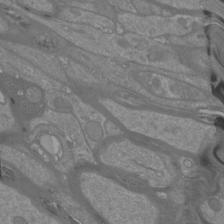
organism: Mouse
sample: Cortical neurons